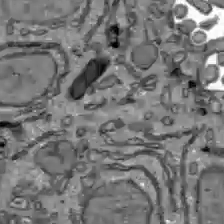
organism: C57BL Mouse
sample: Liver